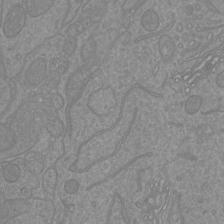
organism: Mouse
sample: Cortical neurons